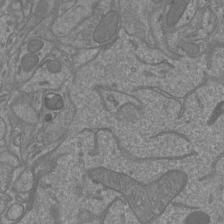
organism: Mouse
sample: Cortical neurons